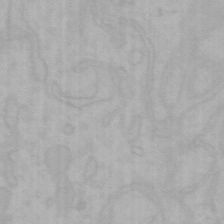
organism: Mouse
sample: Choroid plexus